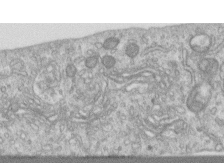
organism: Human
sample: Centriole in RPE cells